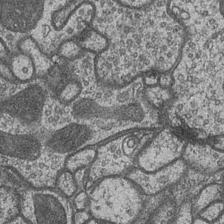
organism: Drosophila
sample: Optic medulla